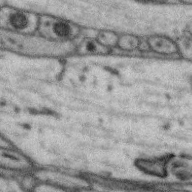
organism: Zebra finch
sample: Brain